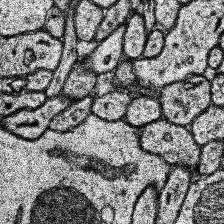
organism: Human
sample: Temporal Lobe